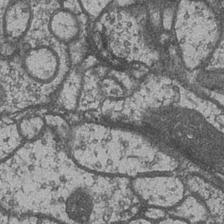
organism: Drosophila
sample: Optic medulla